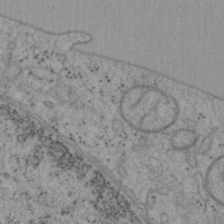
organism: Human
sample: HeLa cells